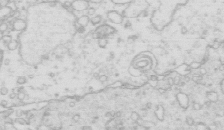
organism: Mouse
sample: Multiciliated cells